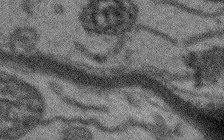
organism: Arabidopsis thaliana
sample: Root tip